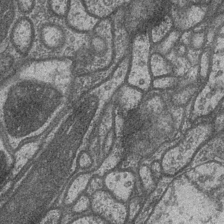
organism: Drosophila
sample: Optic medulla